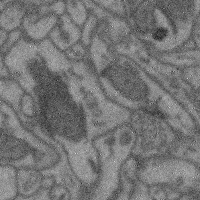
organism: Mouse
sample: Cerebral cortex